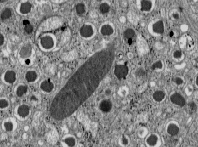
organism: C57BL Mouse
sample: Pancreatic islet